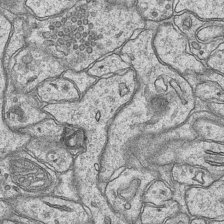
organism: Mouse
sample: CA1 Hippocampus